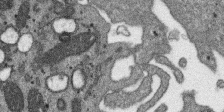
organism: Human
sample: Lung epithelial cells infected with SARS-CoV-2